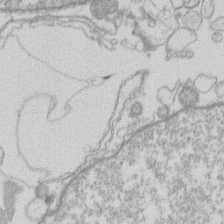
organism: Human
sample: Macrophage cells